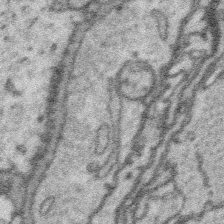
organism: Platynereis dumerilii